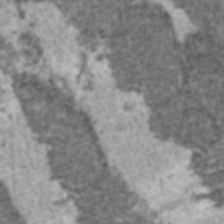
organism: C57BL Mouse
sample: Heart